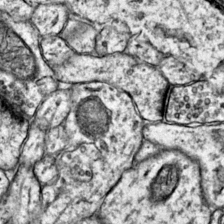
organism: Mouse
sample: Primary visual cortex